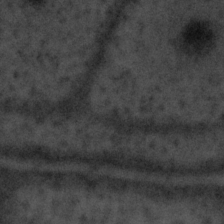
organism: Tuwongella immobilis